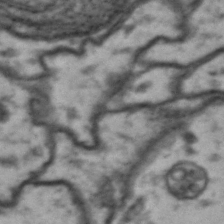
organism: Drosophila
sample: Brain